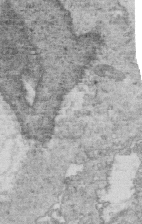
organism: Mouse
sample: Multiciliated cells